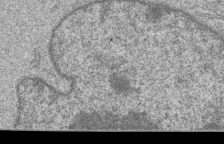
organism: Human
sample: MDA-MB-231 cells